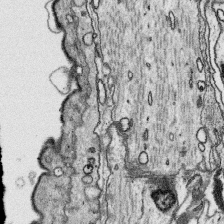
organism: Platynereis dumerilii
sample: Parapodia